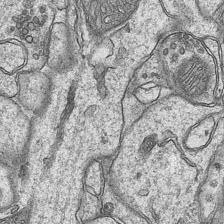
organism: Mouse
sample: CA1 Hippocampus